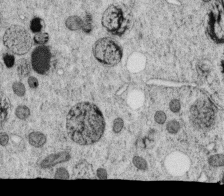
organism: C. elegans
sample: C. elegans oocyte; sperm cells